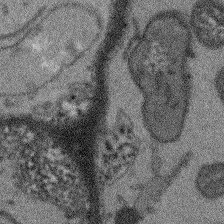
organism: Arabidopsis thaliana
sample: Root tip